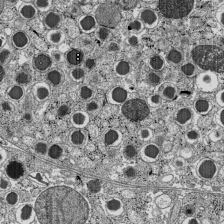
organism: C57BL Mouse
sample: Pancreatic islet